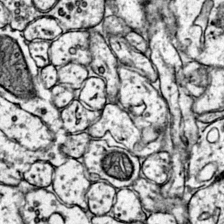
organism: Mouse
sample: Primary visual cortex